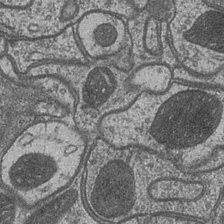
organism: Drosophila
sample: Optic medulla